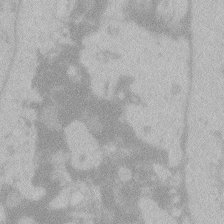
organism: Zebrafish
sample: Macrophage infected with Toxoplasma gondii